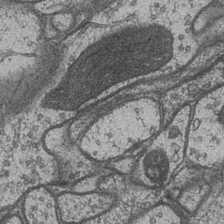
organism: Drosophila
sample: Optic medulla